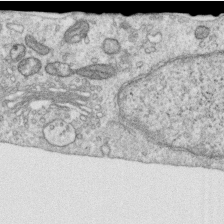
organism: Human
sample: Centriole in RPE cells